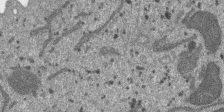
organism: Human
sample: Lung epithelial cells infected with SARS-CoV-2